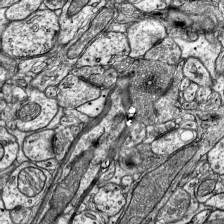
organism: Mouse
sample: Visual Cortex